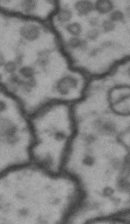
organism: Drosophila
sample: Brain